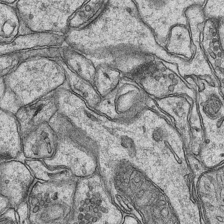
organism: Mouse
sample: CA1 Hippocampus